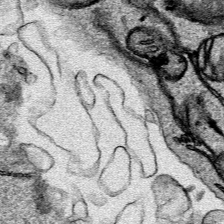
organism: Human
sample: Mitochondria in HCT116 cells